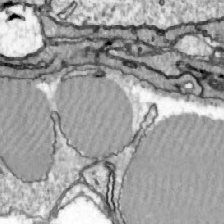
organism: Zebrafish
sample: Actinotrichia fibers